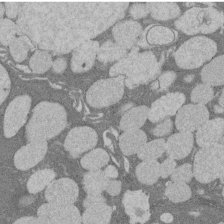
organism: Rat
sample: Salivary granule